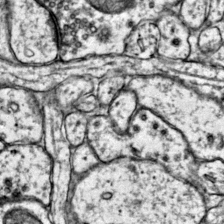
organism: Mouse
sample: Primary visual cortex